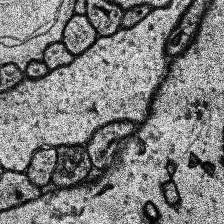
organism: Human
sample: Temporal Lobe